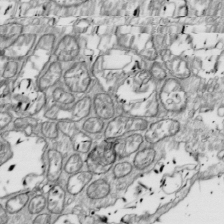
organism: Drosophila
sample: Cell division; meiosis; drosophila spermatocytes